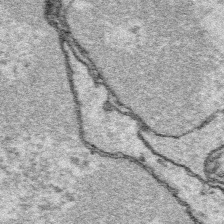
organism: Platynereis dumerilii